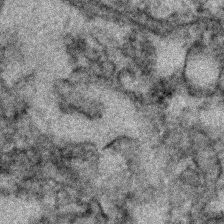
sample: Kidney